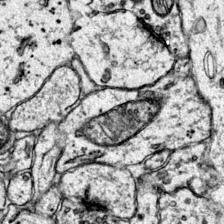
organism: Mouse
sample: Primary visual cortex